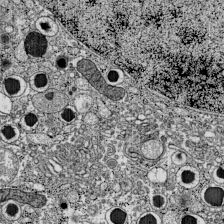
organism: C57BL Mouse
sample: Pancreatic islet